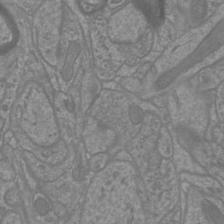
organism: Mouse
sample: Cortical neurons